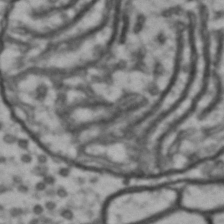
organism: Drosophila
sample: Brain